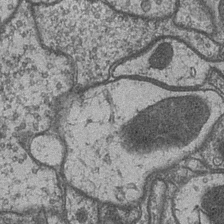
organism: Drosophila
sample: Optic medulla